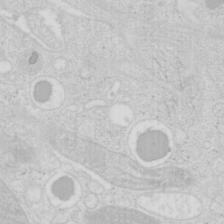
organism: Mouse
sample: Pancreas